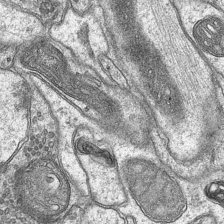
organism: Mouse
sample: CA1 Hippocampus